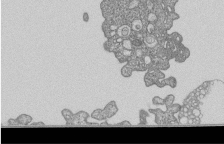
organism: Human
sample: MDA-MB-231 cells